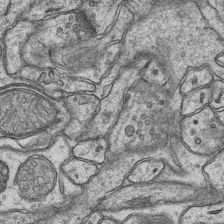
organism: Mouse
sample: CA1 Hippocampus